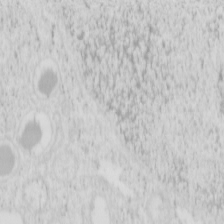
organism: Mouse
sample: Pancreas